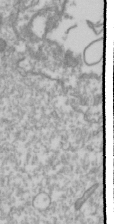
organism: Drosophila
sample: Cell division; meiosis; drosophila spermatocytes